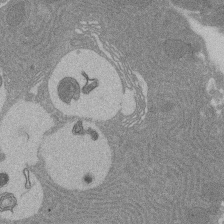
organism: Rat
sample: Salivary granule